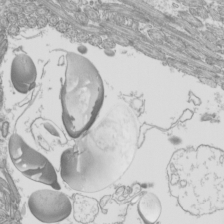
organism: Mouse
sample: Cilia; mouse epididymis